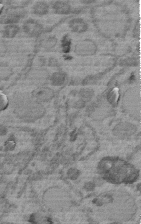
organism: C. elegans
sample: C. elegans embryo early stage